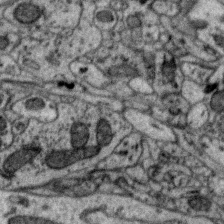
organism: Zebra finch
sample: Brain